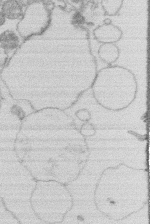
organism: Human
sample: Macrophage cells